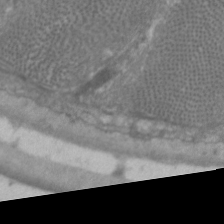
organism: C. elegans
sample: Pharynx